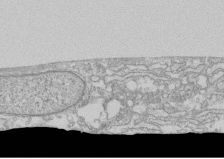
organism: Human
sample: CRL-1474